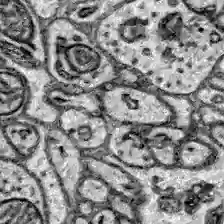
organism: Zebrafish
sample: Brain